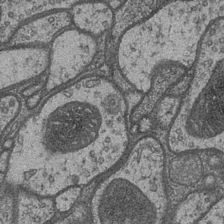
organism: Drosophila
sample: Optic medulla